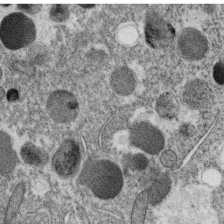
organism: C. elegans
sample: C. elegans oocyte; sperm cells